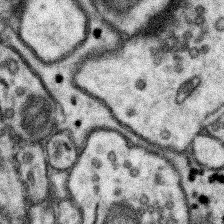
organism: Mouse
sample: Somatosensory cortex neuropil